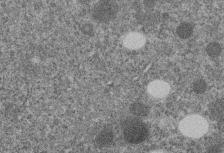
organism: C. elegans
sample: C. elegans embryo early stage